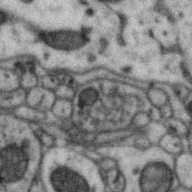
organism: Zebra finch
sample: Brain